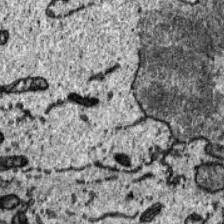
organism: Human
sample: HeLa cells